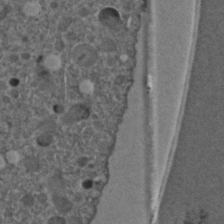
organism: C. elegans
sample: C. elegans embryo